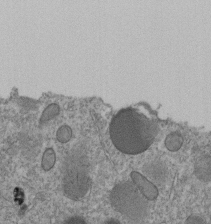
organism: C. elegans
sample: C. elegans embryo early stage